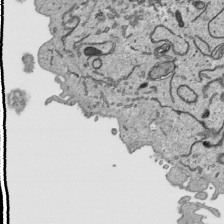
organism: Human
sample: Mitochondria in HCT116 cells